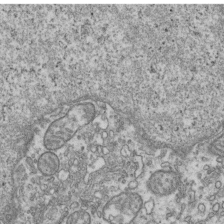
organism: Human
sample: Activated Jurkat CD4+ T cells